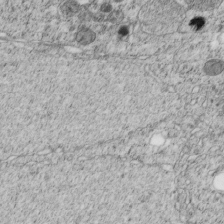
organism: C. elegans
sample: C. elegans embryo early stage